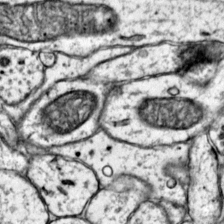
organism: Mouse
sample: Primary visual cortex